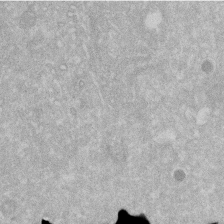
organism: Human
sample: HIV infected U937 cells